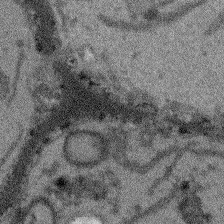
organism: Arabidopsis thaliana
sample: Root tip